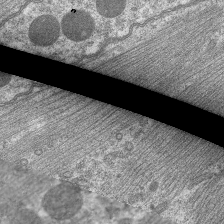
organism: C. elegans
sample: Pharynx